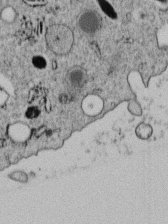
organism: C. elegans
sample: C. elegans embryo early stage